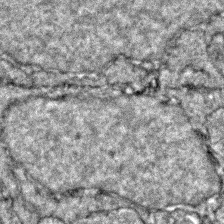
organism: Zebrafish